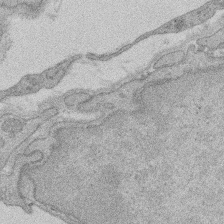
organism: Rat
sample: Salivary granule